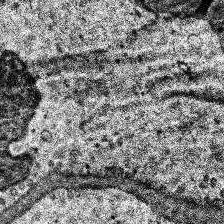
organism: Human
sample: Temporal Lobe